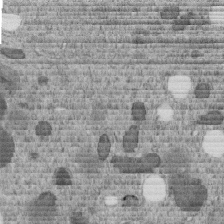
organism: C. elegans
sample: C. elegans embryo early stage